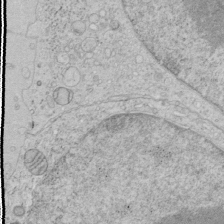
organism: Human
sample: Mitochondria in HCT116 cells